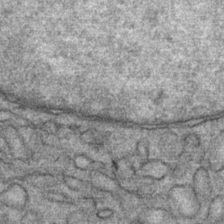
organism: Mouse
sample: Mouse Salivary gland